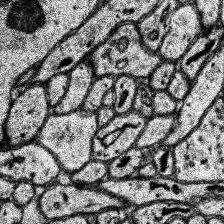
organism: Human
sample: Temporal Lobe